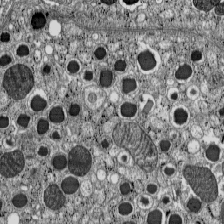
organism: C57BL Mouse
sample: Pancreatic islet